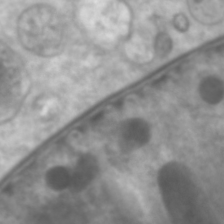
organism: C. elegans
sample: Pharynx